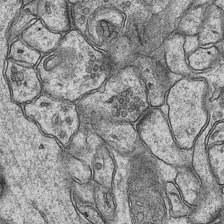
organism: Mouse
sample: CA1 Hippocampus